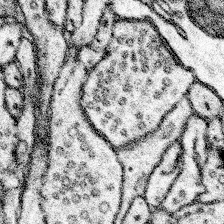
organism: Mouse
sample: Somatosensory cortex neuropil